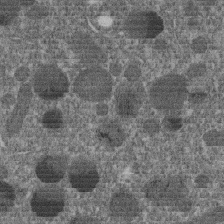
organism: C. elegans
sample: C. elegans embryo early stage